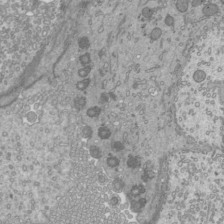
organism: Mouse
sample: Cilia; mouse epididymis